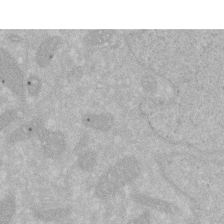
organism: Human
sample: HIV infected U937 cells